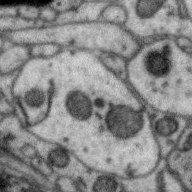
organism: Zebra finch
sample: Brain